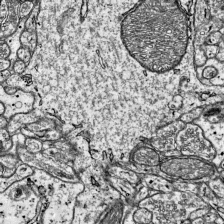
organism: Mouse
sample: Visual Cortex